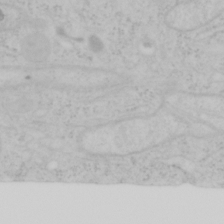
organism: Mouse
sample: OT-I killer T cells with ID8 ovarian cancer cells